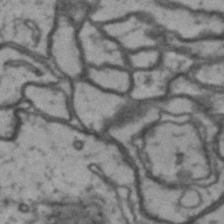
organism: Drosophila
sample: Brain